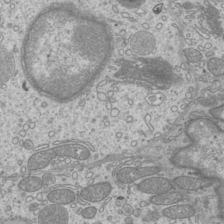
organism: Mouse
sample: Cilia; mouse epididymis